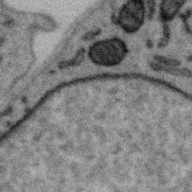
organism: Zebra finch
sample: Brain